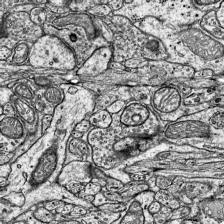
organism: Mouse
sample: Visual Cortex